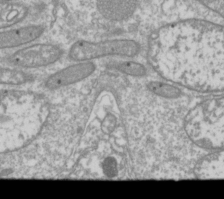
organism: Drosophila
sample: Cell division; meiosis; drosophila spermatocytes